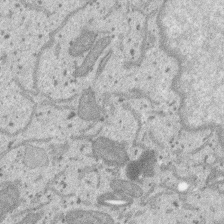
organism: Human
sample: Lung epithelial cells infected with SARS-CoV-2